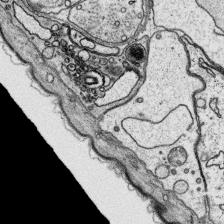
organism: Platynereis dumerilii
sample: Parapodia